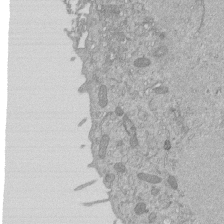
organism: Mouse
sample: ED-1 cell nuclei; centrioles